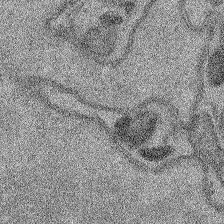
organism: Human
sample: HeLa cells